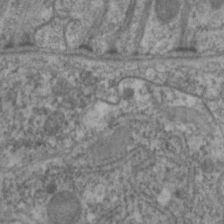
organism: C. elegans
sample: Pharynx